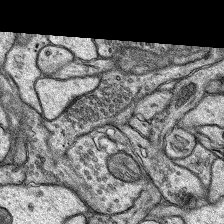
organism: Rat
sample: Hippocampus